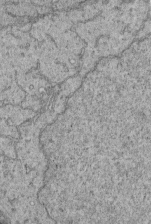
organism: Human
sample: Retinal organoid Rod and Cone cells